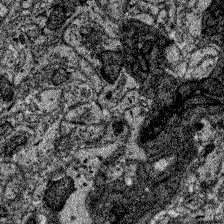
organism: Zebrafish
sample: Larval olfactory bulb